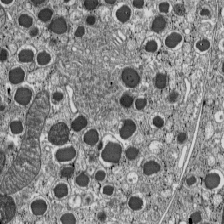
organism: C57BL Mouse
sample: Pancreatic islet